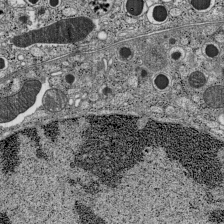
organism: C57BL Mouse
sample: Pancreatic islet